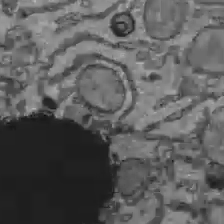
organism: C57BL Mouse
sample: Liver